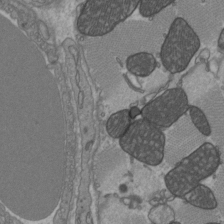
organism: C57BL Mouse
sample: Heart